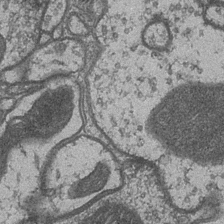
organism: Drosophila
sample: Optic medulla